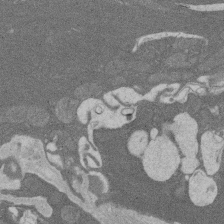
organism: Rat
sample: Salivary granule